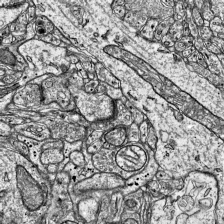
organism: Mouse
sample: Visual Cortex